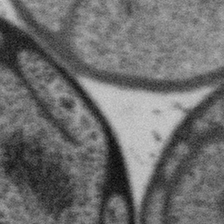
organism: Gemmata obscuriglobus